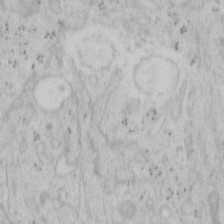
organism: Human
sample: HeLa cells